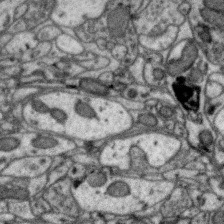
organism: Zebra finch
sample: Brain